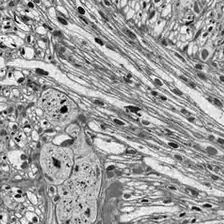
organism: Drosophila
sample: Optic lobe